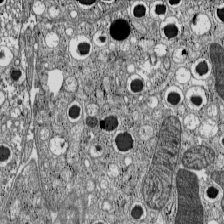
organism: C57BL Mouse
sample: Pancreatic islet